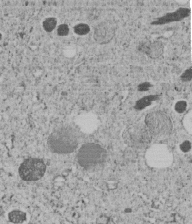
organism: C. elegans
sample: C. elegans embryo early stage